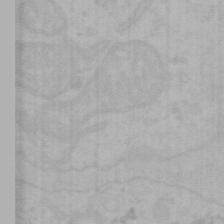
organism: Mouse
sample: Choroid plexus